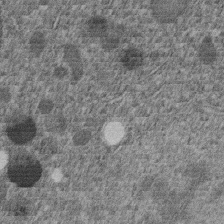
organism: C. elegans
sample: C. elegans embryo early stage